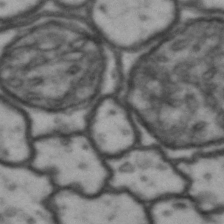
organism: Drosophila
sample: Brain